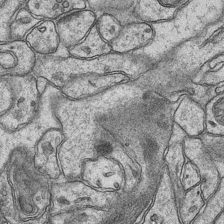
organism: Mouse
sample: CA1 Hippocampus